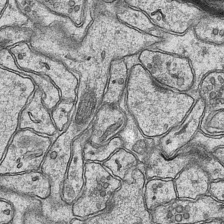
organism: Mouse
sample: CA1 Hippocampus